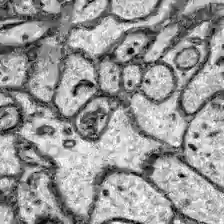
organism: Zebrafish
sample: Brain